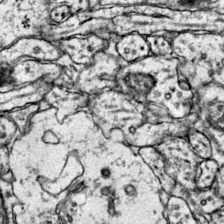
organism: Mouse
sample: Primary visual cortex